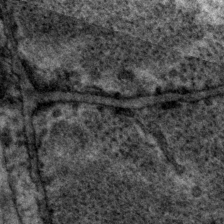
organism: P. pacificus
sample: Pharynx